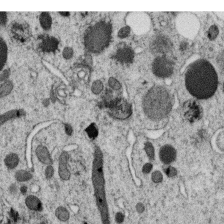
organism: C. elegans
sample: C. elegans oocyte; sperm cells